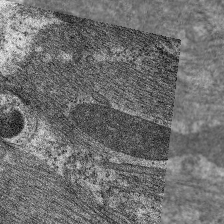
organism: C. elegans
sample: Pharynx